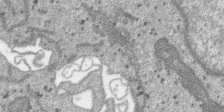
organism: Human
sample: Lung epithelial cells infected with SARS-CoV-2